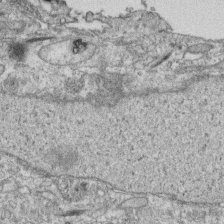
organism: Human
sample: HeLa cell HIV synapse